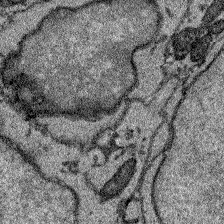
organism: Zebrafish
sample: Larval olfactory bulb